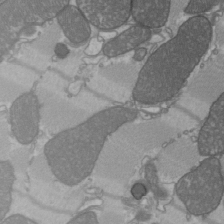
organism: C57BL Mouse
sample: Heart